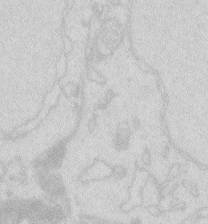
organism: Zebrafish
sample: Macrophage